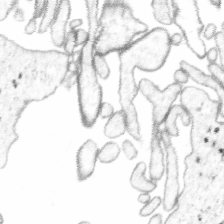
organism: Human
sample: HeLa cells